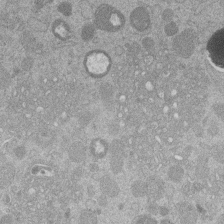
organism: Mouse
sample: Dividing mouse embryo 1 cell stage